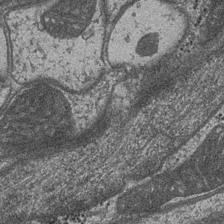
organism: Drosophila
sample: Optic medulla